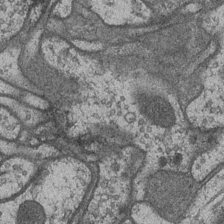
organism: Drosophila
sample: Optic medulla